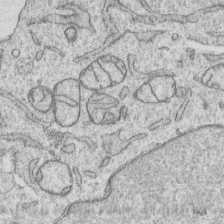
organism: Human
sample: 1205lu cells